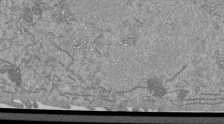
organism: Mouse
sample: ED-1 cell nuclei; centrioles